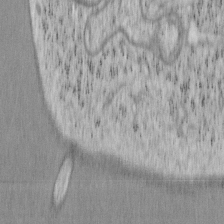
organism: Human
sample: HeLa cells